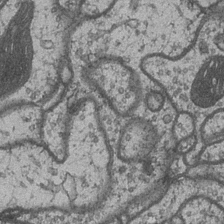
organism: Drosophila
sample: Optic medulla